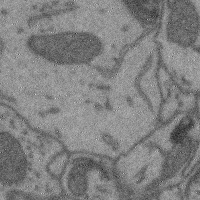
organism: Mouse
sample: Cerebral cortex